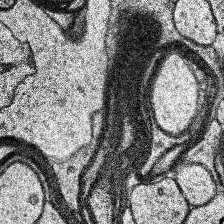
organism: Human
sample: Temporal Lobe